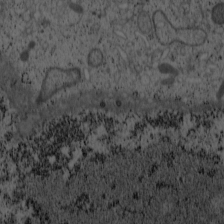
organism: African green monkey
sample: COS-7 cells